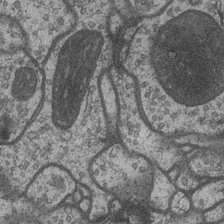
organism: Drosophila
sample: Optic medulla